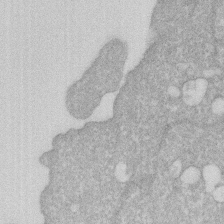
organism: Human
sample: HIV infected U937 cells